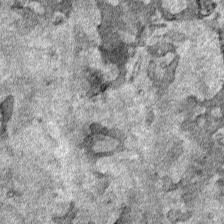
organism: Human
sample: Mitochondria in HCT116 cells